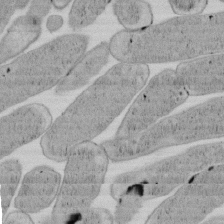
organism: E. coli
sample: Bacterial nucleoid